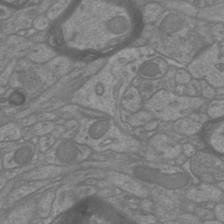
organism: Mouse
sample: Cortical neurons